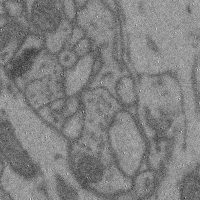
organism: Mouse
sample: Cerebral cortex